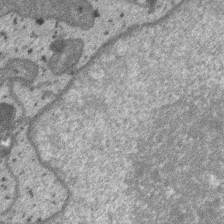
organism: Human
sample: Lung epithelial cells infected with SARS-CoV-2